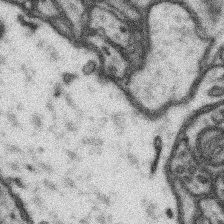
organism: Mouse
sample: Somatosensory cortex neuropil